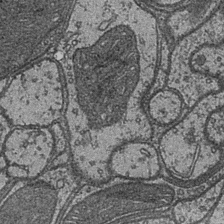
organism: Drosophila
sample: Optic medulla